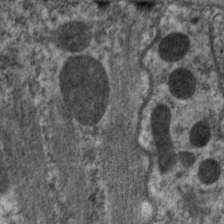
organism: C. elegans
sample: Pharynx